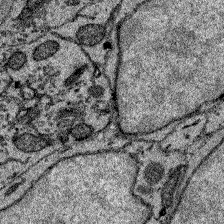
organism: Zebrafish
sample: Larval olfactory bulb